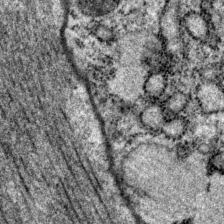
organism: P. pacificus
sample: Pharynx